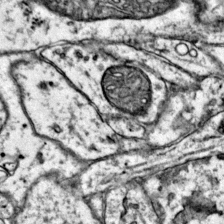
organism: Mouse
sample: Primary visual cortex